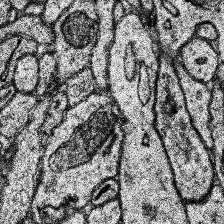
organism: Human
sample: Temporal Lobe